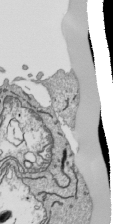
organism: Human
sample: Mitochondria in HCT116 cells